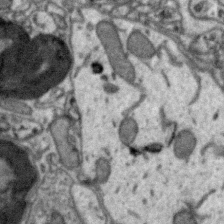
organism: Zebra finch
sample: Brain